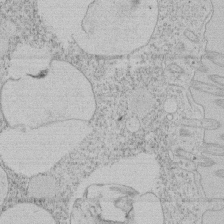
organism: Tetrahymena